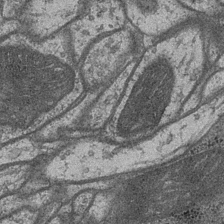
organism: Drosophila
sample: Optic medulla